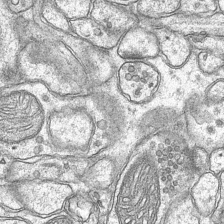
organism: Mouse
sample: CA1 Hippocampus